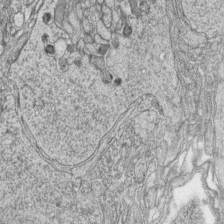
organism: Zebrafish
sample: synaptic ribbons in rod cells and cone cells